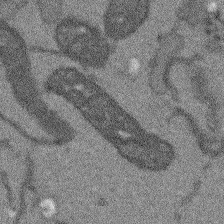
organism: Arabidopsis thaliana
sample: Root tip